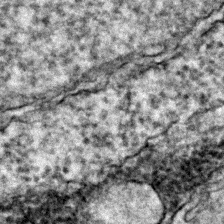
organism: Zebrafish